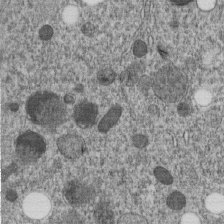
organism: C. elegans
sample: C. elegans embryo early stage